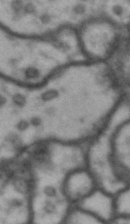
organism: Drosophila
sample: Brain